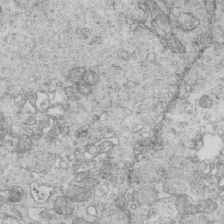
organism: Mouse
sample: Multiciliated cells